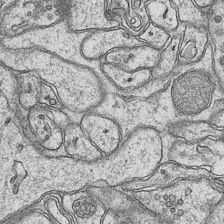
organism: Mouse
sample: CA1 Hippocampus